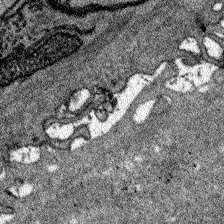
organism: Zebrafish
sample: Larval olfactory bulb